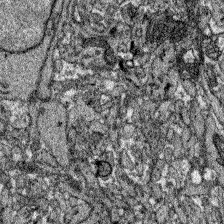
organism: Zebrafish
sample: Larval olfactory bulb